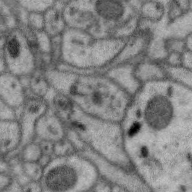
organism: Zebra finch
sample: Brain